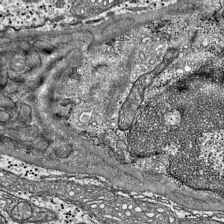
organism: Mouse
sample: Visual Cortex